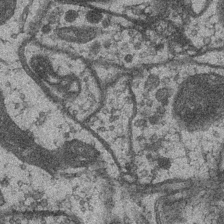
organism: Drosophila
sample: Optic medulla